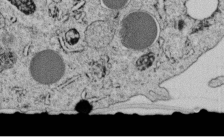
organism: C. elegans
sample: C. elegans embryo early stage